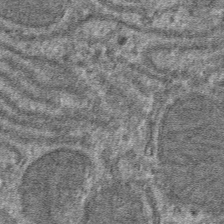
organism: Mouse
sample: Mouse hepatocytes